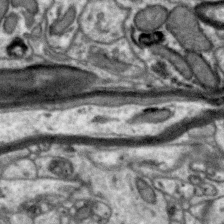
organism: Zebra finch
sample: Brain